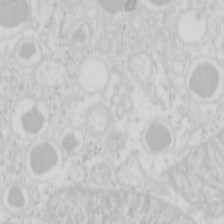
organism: Mouse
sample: Pancreas